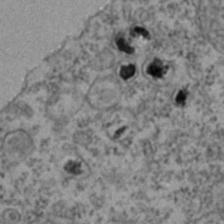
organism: Zebrafish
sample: Zebrafish embryo